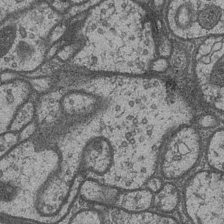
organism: Drosophila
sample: Optic medulla